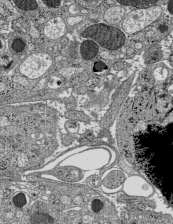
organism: C57BL Mouse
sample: Pancreatic islet